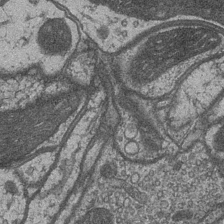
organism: Drosophila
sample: Optic medulla